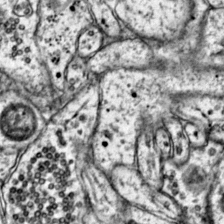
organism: Mouse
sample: Primary visual cortex